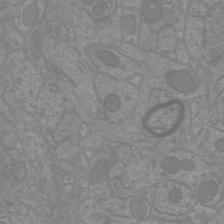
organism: Mouse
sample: Cortical neurons